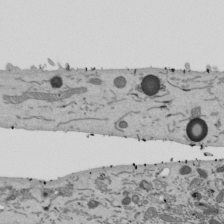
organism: Mouse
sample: ED-1 cell nuclei; centrioles